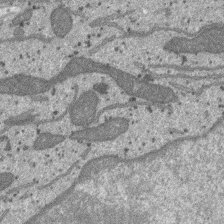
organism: Human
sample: Lung epithelial cells infected with SARS-CoV-2